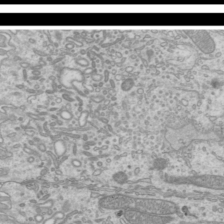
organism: Mouse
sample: Cilia; mouse epididymis